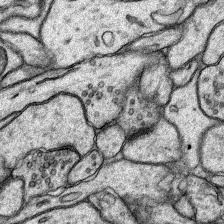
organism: Rat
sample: Hippocampus